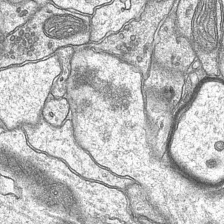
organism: Mouse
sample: CA1 Hippocampus